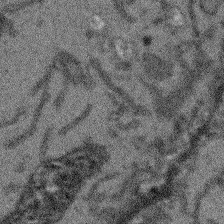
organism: Arabidopsis thaliana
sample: Root tip